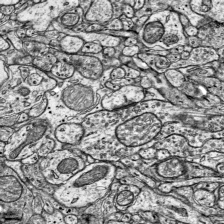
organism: Mouse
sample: Visual Cortex